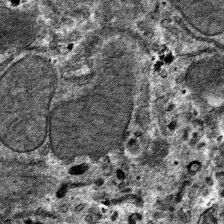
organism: Mouse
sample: Mouse hepatocytes